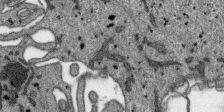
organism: Human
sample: Lung epithelial cells, uninfected (mock) control